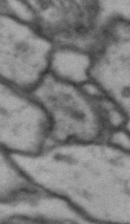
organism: Drosophila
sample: Brain